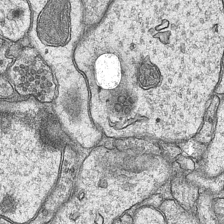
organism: Mouse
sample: CA1 Hippocampus